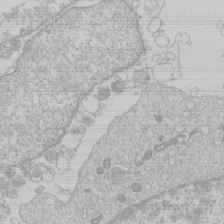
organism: Human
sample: Macrophage cells